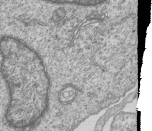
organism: Human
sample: MDA-MB-231 cells